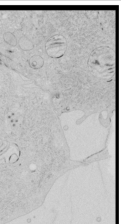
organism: Human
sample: Mitochondria in HCT116 cells